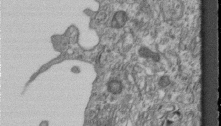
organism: Mouse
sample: Centriole in ependymal cells